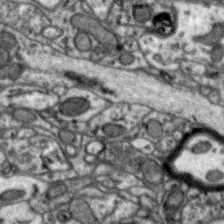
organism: Zebra finch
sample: Brain